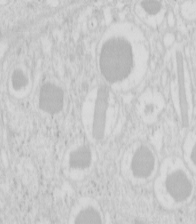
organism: Mouse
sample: Pancreas